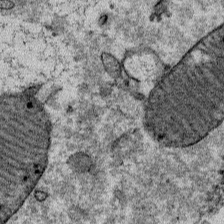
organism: Mouse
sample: Mouse Salivary gland